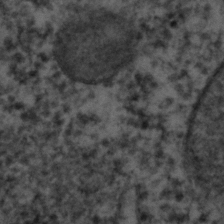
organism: C. elegans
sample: C. elegans embryo